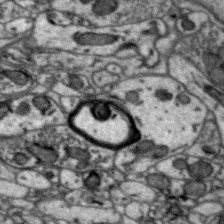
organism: Zebra finch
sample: Brain